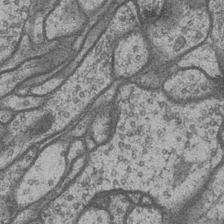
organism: Drosophila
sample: Optic medulla